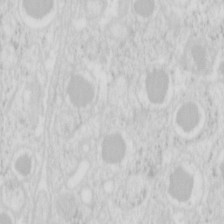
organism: Mouse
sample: Pancreas